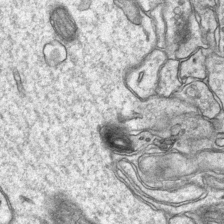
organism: Mouse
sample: CA1 Hippocampus